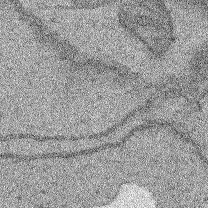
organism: Human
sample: HeLa cells